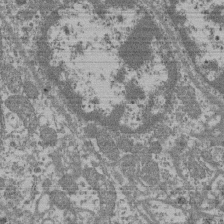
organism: Mouse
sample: Glomerulus